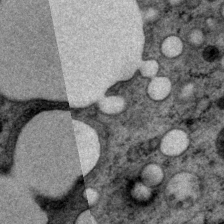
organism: P. pacificus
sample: Pharynx